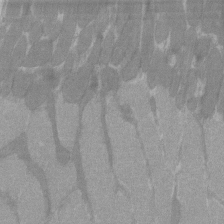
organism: C57BL Mouse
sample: Tibialis anterior muscle cell